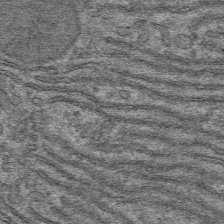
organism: Mouse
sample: Mouse hepatocytes